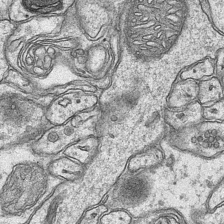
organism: Mouse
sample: CA1 Hippocampus